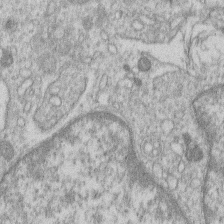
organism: Human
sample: Macrophage cells